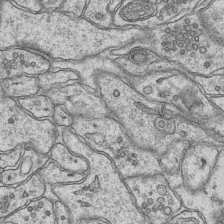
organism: Mouse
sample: CA1 Hippocampus